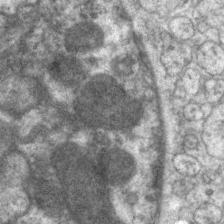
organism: C. elegans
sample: Pharynx